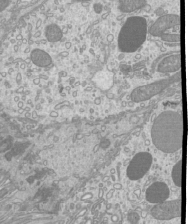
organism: Mouse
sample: Cilia; mouse epididymis